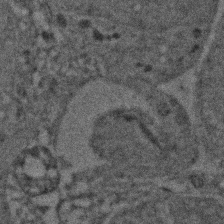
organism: Zebrafish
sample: Zebrafish embryo